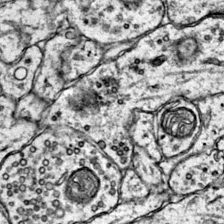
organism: Mouse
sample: Primary visual cortex